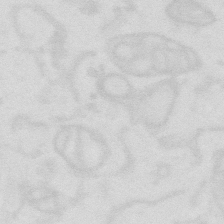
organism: Human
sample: HeLa cells